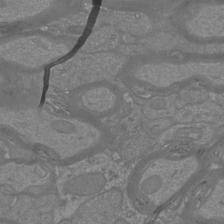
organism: Mouse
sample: Cortical neurons